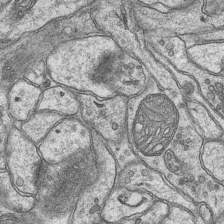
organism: Mouse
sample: CA1 Hippocampus